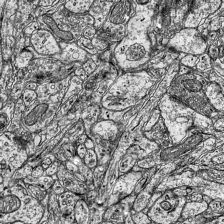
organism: Mouse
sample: Visual Cortex